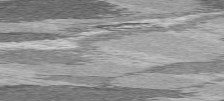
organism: C57BL Mouse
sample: Heart